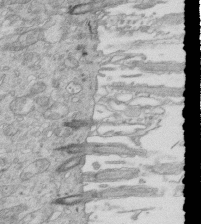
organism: Mouse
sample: Multiciliated cells